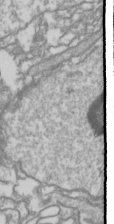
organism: Drosophila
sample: Cell division; meiosis; drosophila spermatocytes